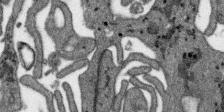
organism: Human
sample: Lung epithelial cells, uninfected (mock) control